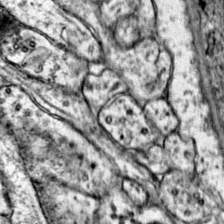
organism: Mouse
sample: Primary visual cortex